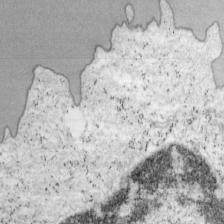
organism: Mouse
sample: OT-I killer T cells with ID8 ovarian cancer cells